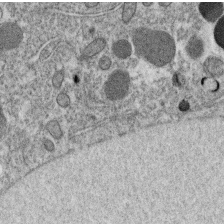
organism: C. elegans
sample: C. elegans oocyte; sperm cells